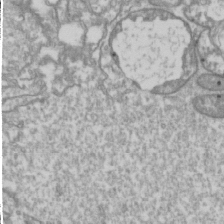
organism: Drosophila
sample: Cell division; meiosis; drosophila spermatocytes